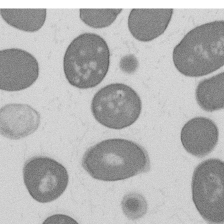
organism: B. subtilis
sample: Bacterial spore